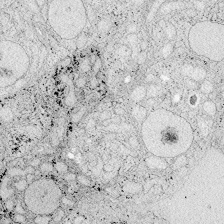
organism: Zebrafish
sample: Whole-Brain